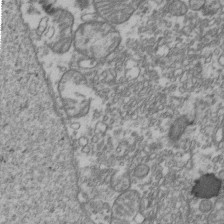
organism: Human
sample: Activated Jurkat CD4+ T cells